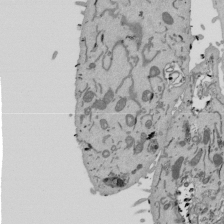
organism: Mouse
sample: ED-1 cell nuclei; centrioles